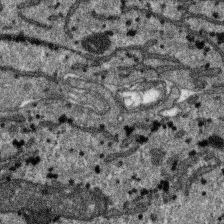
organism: Human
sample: Lung epithelial cells infected with SARS-CoV-2